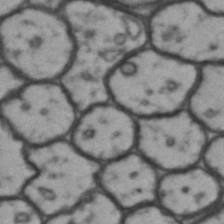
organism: Drosophila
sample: Brain